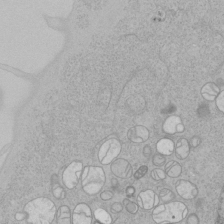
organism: Human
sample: Mitochondria in HCT116 cells